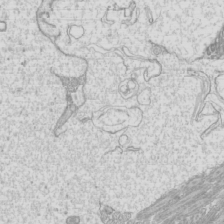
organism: Mouse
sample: Cilia; mouse epididymis